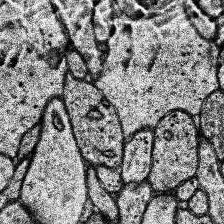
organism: Human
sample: Temporal Lobe